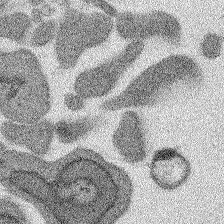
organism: Human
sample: HeLa cells